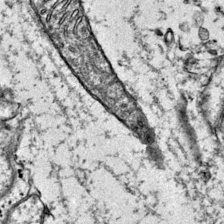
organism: Mouse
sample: Primary visual cortex